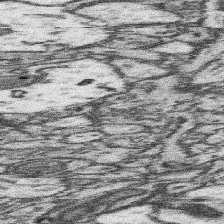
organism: Mouse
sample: Somatosensory cortex neuropil